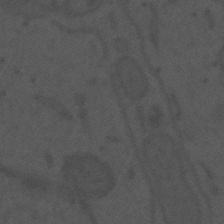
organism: Mouse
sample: Suprachiasmatic nucleus